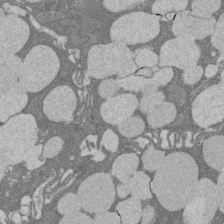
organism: Rat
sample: Salivary granule